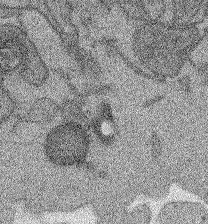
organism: Human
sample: HeLa cells